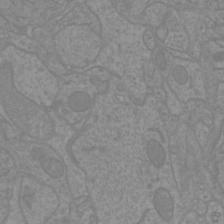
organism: Mouse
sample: Cortical neurons